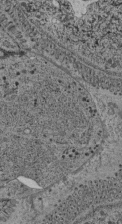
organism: C. elegans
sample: C. elegans pharynx